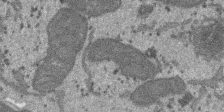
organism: Human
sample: Lung epithelial cells infected with SARS-CoV-2